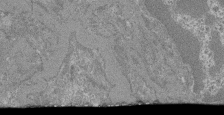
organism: Mouse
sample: Glomerulus